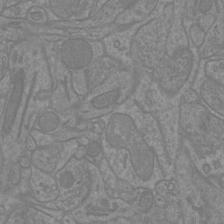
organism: Mouse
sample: Cortical neurons